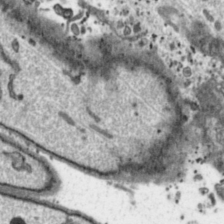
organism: Toxoplasma gondii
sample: Parasites in a vacuole inside a host cell